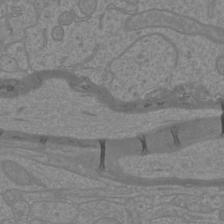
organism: Mouse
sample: Cortical neurons